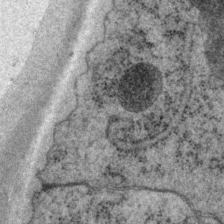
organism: P. pacificus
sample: Pharynx